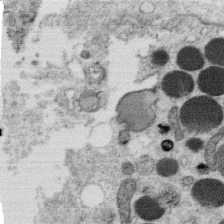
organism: C. elegans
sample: C. elegans oocyte; sperm cells